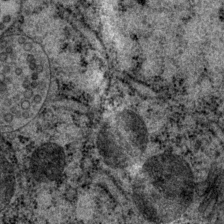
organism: P. pacificus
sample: Pharynx